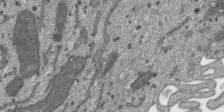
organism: Human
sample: Lung epithelial cells infected with SARS-CoV-2